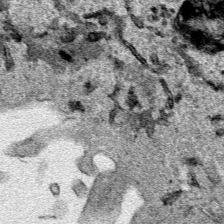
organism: Human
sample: Mitochondria in HCT116 cells